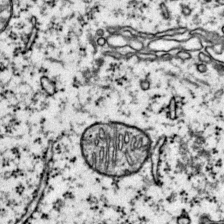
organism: Mouse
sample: Primary visual cortex